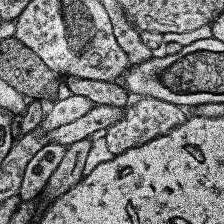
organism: Human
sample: Temporal Lobe